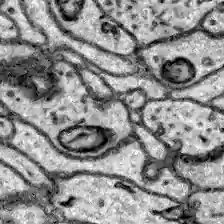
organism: Zebrafish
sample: Brain